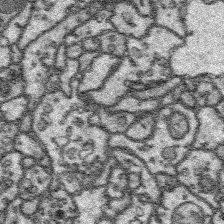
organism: Platynereis dumerilii